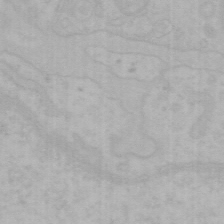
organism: Mouse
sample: Choroid plexus